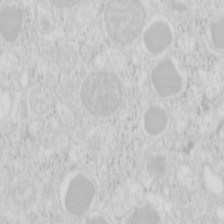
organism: Mouse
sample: Pancreas